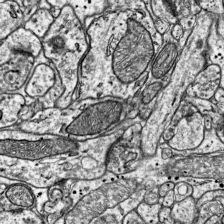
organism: Mouse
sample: Visual Cortex